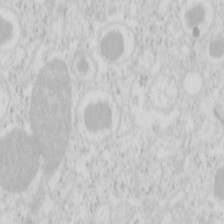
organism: Mouse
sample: Pancreas